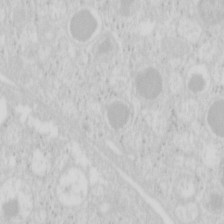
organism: Mouse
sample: Pancreas